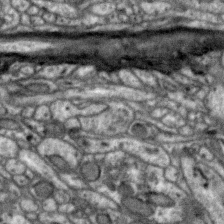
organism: Zebra finch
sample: Brain